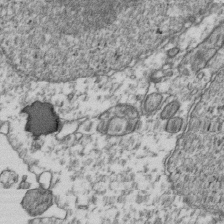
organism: Human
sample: Activated Jurkat CD4+ T cells